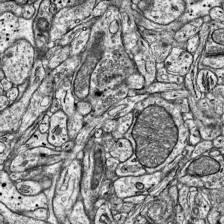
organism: Mouse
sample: Visual Cortex